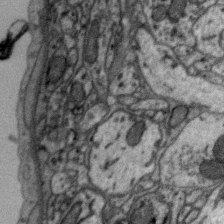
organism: Zebra finch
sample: Brain